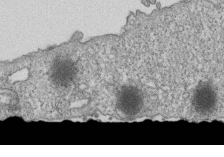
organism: Human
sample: HeLa cell HIV synapse